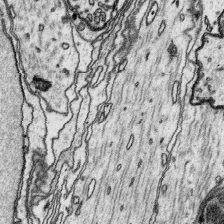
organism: Platynereis dumerilii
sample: Parapodia